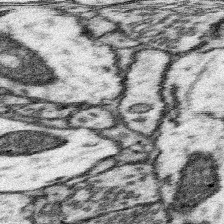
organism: Mouse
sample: Somatosensory cortex neuropil